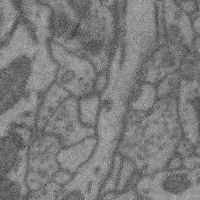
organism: Mouse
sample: Cerebral cortex